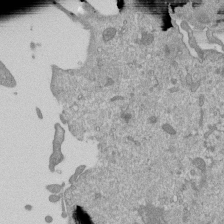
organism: Mouse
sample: ED-1 cell nuclei; centrioles